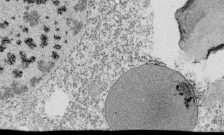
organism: Tetrahymena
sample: Cilia in tetrahymena